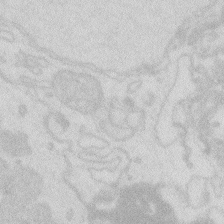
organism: Zebrafish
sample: Macrophage